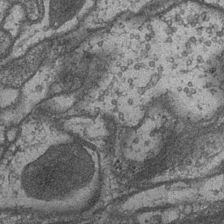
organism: Drosophila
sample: Optic medulla